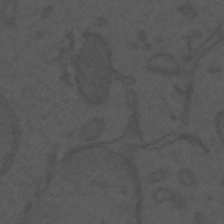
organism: Mouse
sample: Suprachiasmatic nucleus